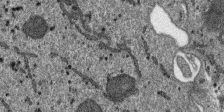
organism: Human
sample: Lung epithelial cells infected with SARS-CoV-2